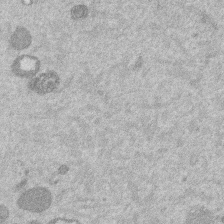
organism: Mouse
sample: Dividing mouse embryo 1 cell stage